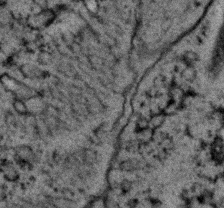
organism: C. elegans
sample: C. elegans embryo